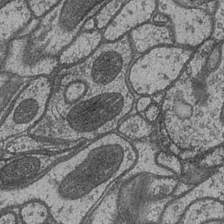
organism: Drosophila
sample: Optic medulla